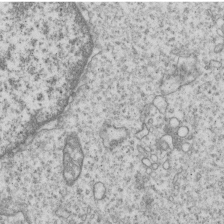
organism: Human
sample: MDA-MB-231 cells